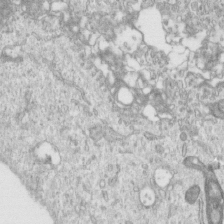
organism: Human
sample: Centriole in RPE cells